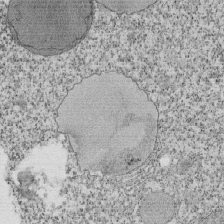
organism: Tetrahymena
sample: Cilia in tetrahymena